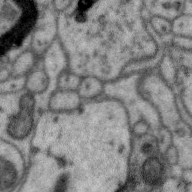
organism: Zebra finch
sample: Brain